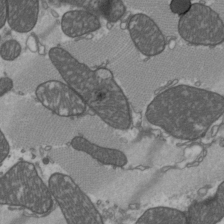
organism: C57BL Mouse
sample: Heart